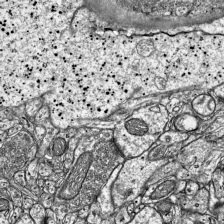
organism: Mouse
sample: Visual Cortex